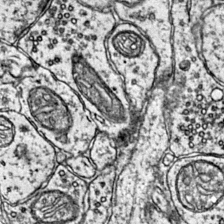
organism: Mouse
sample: Primary visual cortex